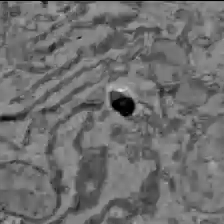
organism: C57BL Mouse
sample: Liver